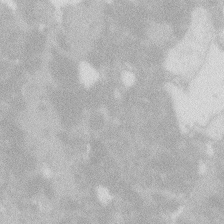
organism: Zebrafish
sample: Macrophage